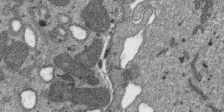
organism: Human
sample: Lung epithelial cells infected with SARS-CoV-2